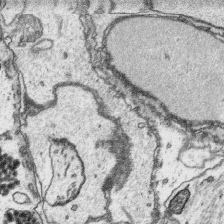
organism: Platynereis dumerilii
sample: Parapodia